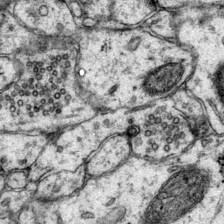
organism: Mouse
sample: Primary visual cortex